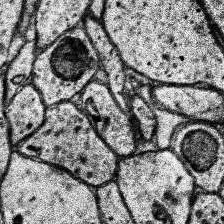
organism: Human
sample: Temporal Lobe